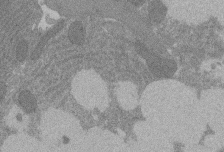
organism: Rat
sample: Salivary granule